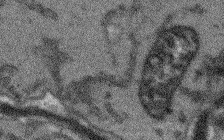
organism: Arabidopsis thaliana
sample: Root tip